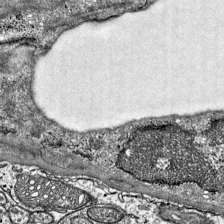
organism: Mouse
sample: Visual Cortex